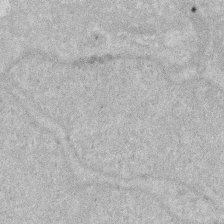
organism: Human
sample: HIV infected U937 cells